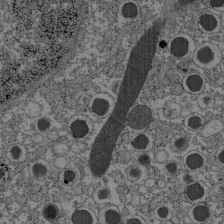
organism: C57BL Mouse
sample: Pancreatic islet